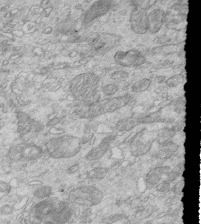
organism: Mouse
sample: Multiciliated cells